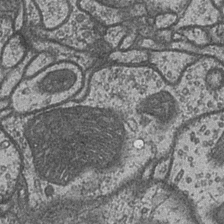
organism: Drosophila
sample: Optic medulla